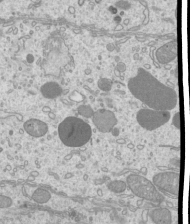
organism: Mouse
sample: Cilia; mouse epididymis